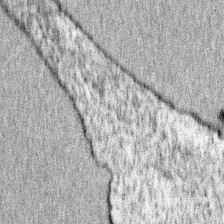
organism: Human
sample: HeLa cells